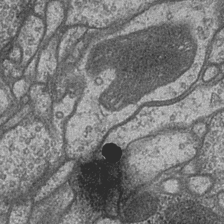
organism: Drosophila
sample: Optic medulla